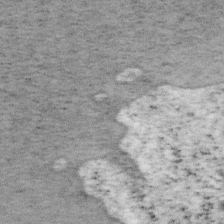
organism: Mouse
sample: OT-I killer T cells with ID8 ovarian cancer cells